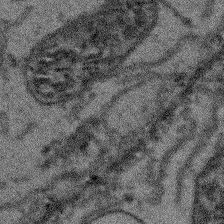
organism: Arabidopsis thaliana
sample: Root tip